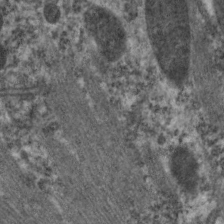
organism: C. elegans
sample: Pharynx